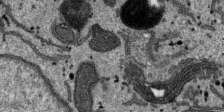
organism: Human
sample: Lung epithelial cells, uninfected (mock) control